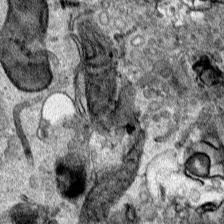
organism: Human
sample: Mitochondria in HCT116 cells